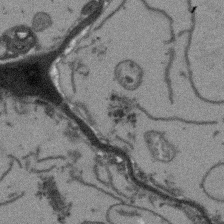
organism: Arabidopsis thaliana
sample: Root tip